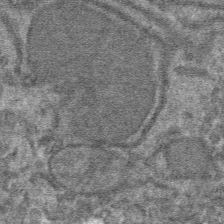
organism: Mouse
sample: Mouse hepatocytes